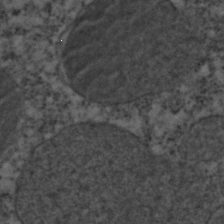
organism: C. elegans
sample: C. elegans embryo